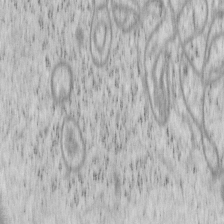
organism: Human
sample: HeLa cells